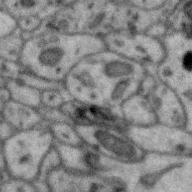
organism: Zebra finch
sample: Brain